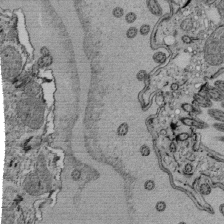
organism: Tetrahymena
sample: Cilia in tetrahymena